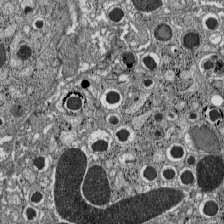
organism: C57BL Mouse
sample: Pancreatic islet